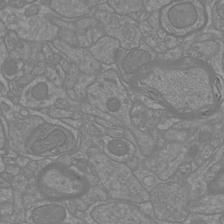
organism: Mouse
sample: Cortical neurons